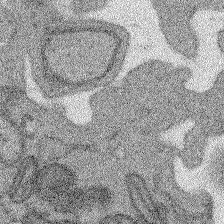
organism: Human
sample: HeLa cells